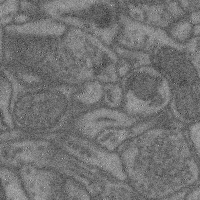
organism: Mouse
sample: Cerebral cortex